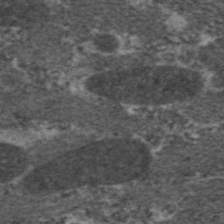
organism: C. elegans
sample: Pharynx